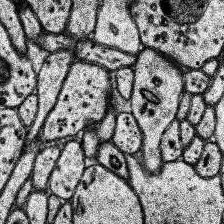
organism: Human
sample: Temporal Lobe